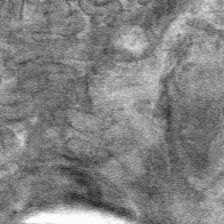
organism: Mouse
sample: Mouse hepatocytes